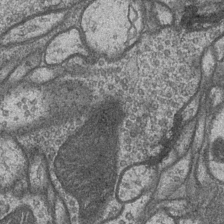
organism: Drosophila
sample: Optic medulla